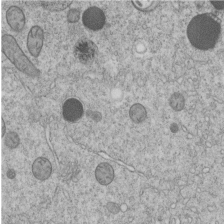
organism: C. elegans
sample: C. elegans embryo early stage